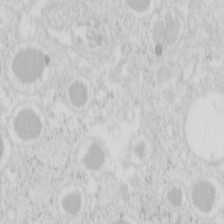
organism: Mouse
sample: Pancreas